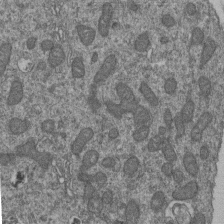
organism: Human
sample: Retinal organoid Rod and Cone cells